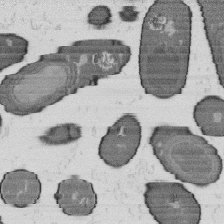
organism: B. subtilis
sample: Bacterial spore